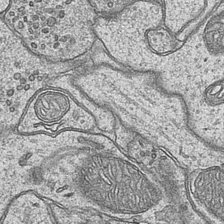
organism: Mouse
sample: CA1 Hippocampus